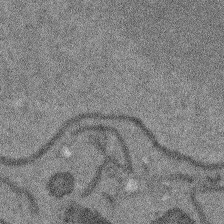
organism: Arabidopsis thaliana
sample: Root tip